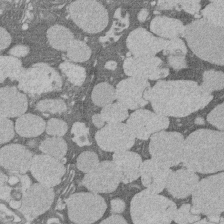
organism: Rat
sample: Salivary granule